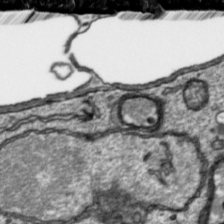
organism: Toxoplasma gondii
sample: Parasites in a vacuole inside a host cell